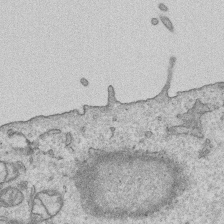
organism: Human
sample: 1205lu cells